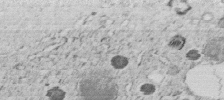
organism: C. elegans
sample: C. elegans embryo early stage